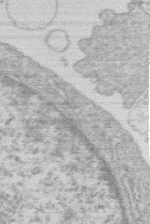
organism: Human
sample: Macrophage cells